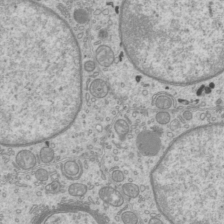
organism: Mouse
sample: Cilia; mouse epididymis